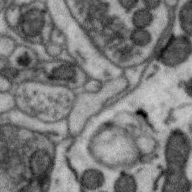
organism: Zebra finch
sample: Brain